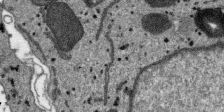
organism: Human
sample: Lung epithelial cells, uninfected (mock) control